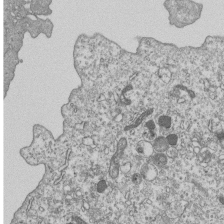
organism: Human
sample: MDA-MB-231 cells